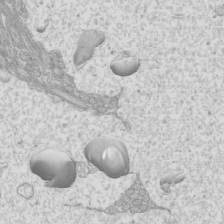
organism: Mouse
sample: Cilia; mouse epididymis